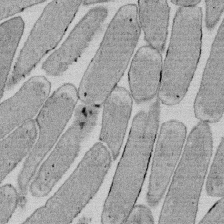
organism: E. coli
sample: Bacterial nucleoid